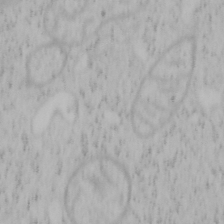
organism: Mouse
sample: OT-I killer T cells with ID8 ovarian cancer cells